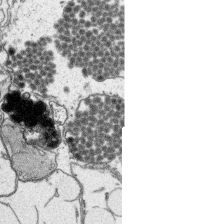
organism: Platynereis dumerilii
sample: Parapodia